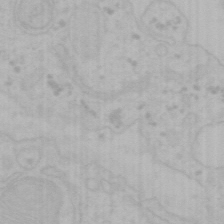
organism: Mouse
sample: Choroid plexus